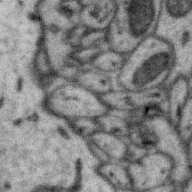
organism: Zebra finch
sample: Brain